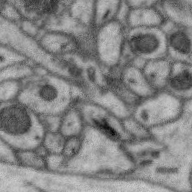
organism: Zebra finch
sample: Brain